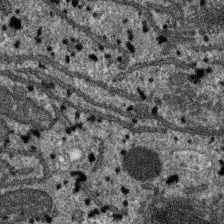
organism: Human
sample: Lung epithelial cells infected with SARS-CoV-2